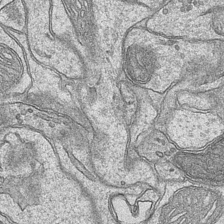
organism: Mouse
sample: CA1 Hippocampus